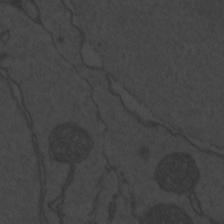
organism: Zebrafish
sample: Macrophage infected with Toxoplasma gondii